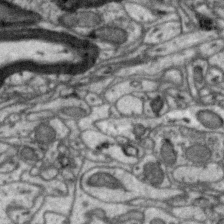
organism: Zebra finch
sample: Brain